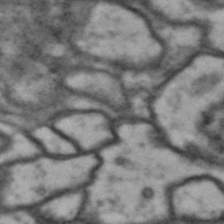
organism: Drosophila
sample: Brain